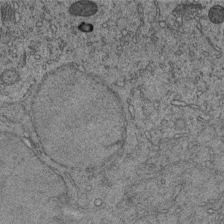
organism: C. elegans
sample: C. elegans embryo early stage